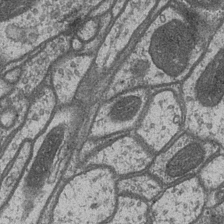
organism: Drosophila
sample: Optic medulla